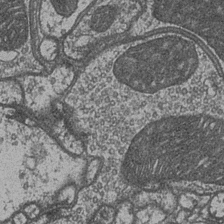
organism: Drosophila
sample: Optic medulla